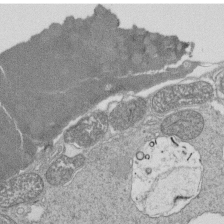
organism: Tetrahymena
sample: Cilia in tetrahymena